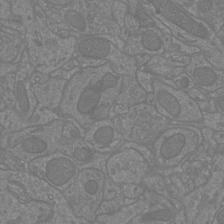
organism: Mouse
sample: Cortical neurons